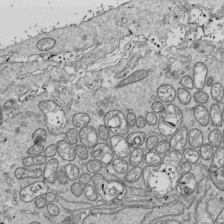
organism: Drosophila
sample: Cell division; meiosis; drosophila spermatocytes